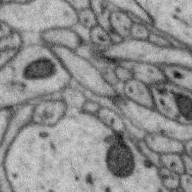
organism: Zebra finch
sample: Brain